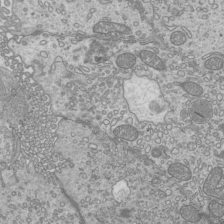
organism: Mouse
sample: Cilia; mouse epididymis